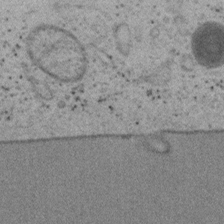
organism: Human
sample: HeLa cells